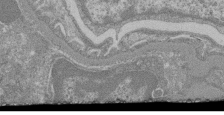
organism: Mouse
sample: Glomerulus